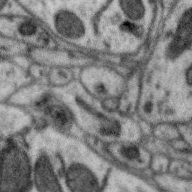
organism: Zebra finch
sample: Brain